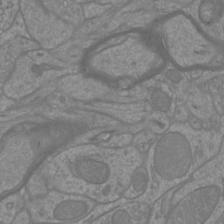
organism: Mouse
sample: Cortical neurons